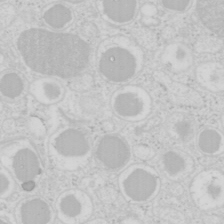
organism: Mouse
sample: Pancreas